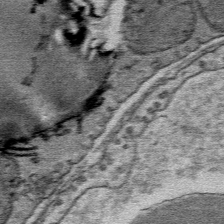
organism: Mouse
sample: Mouse Salivary gland